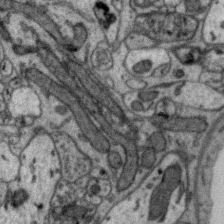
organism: Zebra finch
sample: Brain